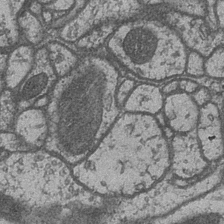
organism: Drosophila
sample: Optic medulla